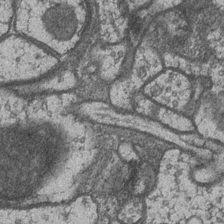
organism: Drosophila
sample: Optic medulla